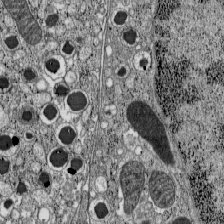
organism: C57BL Mouse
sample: Pancreatic islet